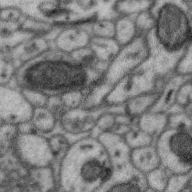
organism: Zebra finch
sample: Brain